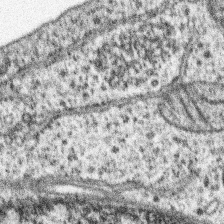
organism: Human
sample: HeLa cells